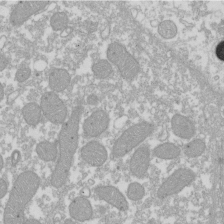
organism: Xenopus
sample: Cilia; centrioles in frog embryo cells